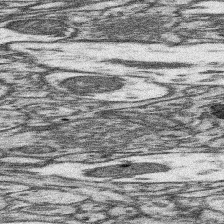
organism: Mouse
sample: Somatosensory cortex neuropil